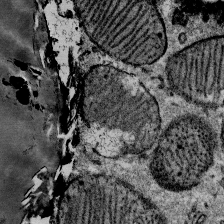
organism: Mouse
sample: Mouse Salivary gland